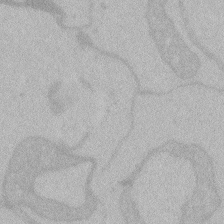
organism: Zebrafish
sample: Macrophage infected with Toxoplasma gondii